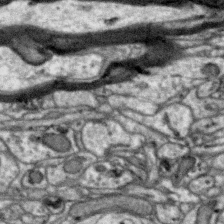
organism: Zebra finch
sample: Brain